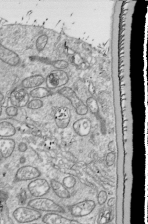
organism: Drosophila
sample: Cell division; meiosis; drosophila spermatocytes